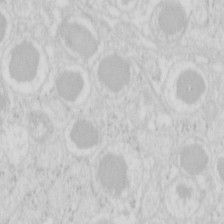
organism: Mouse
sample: Pancreas